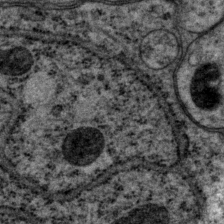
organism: P. pacificus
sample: Pharynx